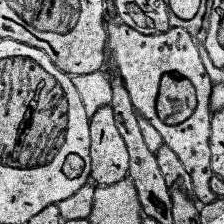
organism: Human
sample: Temporal Lobe